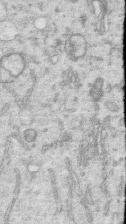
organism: Human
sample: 1205lu cells